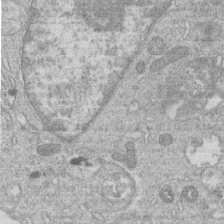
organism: Human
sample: Macrophage cells